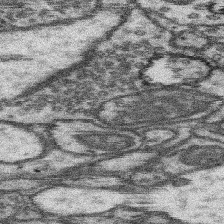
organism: Mouse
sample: Somatosensory cortex neuropil